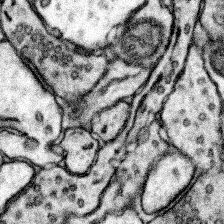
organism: Mouse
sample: Somatosensory cortex neuropil